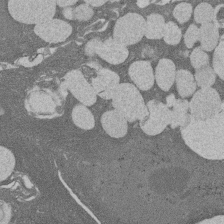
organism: Rat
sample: Salivary granule